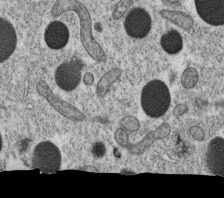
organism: C. elegans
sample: C. elegans oocyte; sperm cells